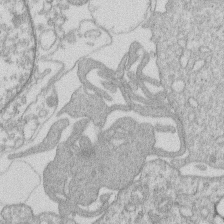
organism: Human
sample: Macrophage cells